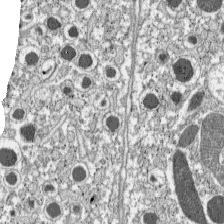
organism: C57BL Mouse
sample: Pancreatic islet